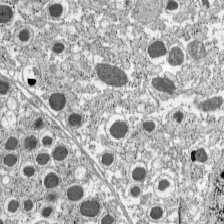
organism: C57BL Mouse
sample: Pancreatic islet